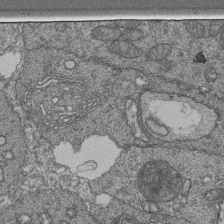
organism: Human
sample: Retinal organoid Rod and Cone cells